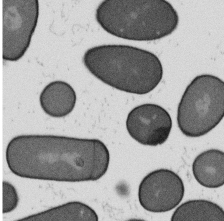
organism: B. subtilis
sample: Bacterial spore